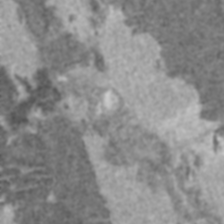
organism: C57BL Mouse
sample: Heart